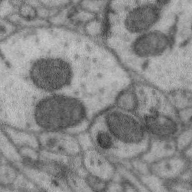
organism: Zebra finch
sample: Brain